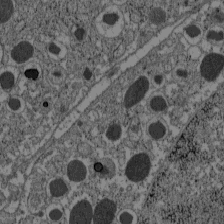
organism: C57BL Mouse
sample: Pancreatic islet